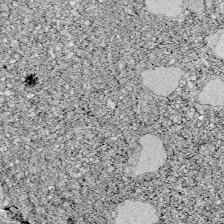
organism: Zebrafish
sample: Whole-Brain